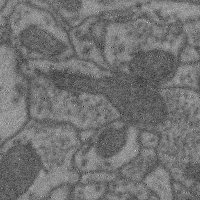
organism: Mouse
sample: Cerebral cortex